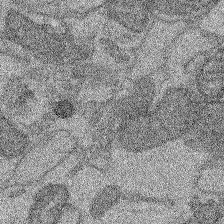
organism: Human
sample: HeLa cells